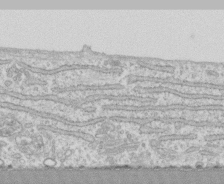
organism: Human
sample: CRL-1474